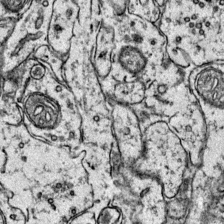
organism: Mouse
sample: Primary visual cortex